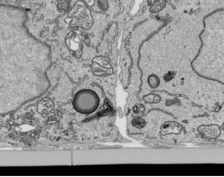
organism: Human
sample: Mitochondria in HCT116 cells